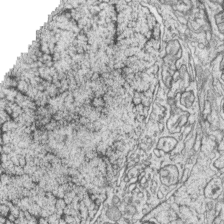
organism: Zebrafish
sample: synaptic ribbons in rod cells and cone cells